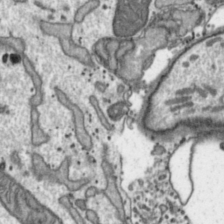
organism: Toxoplasma gondii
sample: Parasites in a vacuole inside a host cell